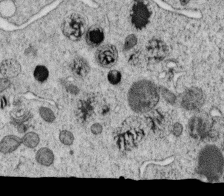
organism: C. elegans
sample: C. elegans oocyte; sperm cells